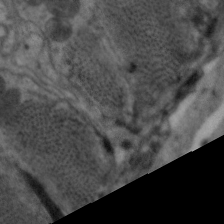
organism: C. elegans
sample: Pharynx